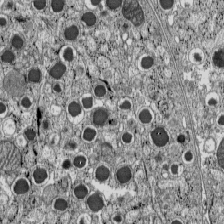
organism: C57BL Mouse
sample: Pancreatic islet